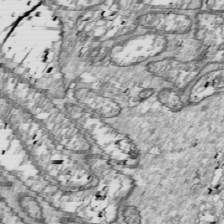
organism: Drosophila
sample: Cell division; meiosis; drosophila spermatocytes